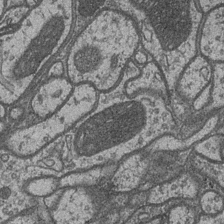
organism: Drosophila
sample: Optic medulla